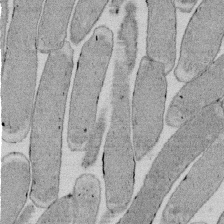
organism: E. coli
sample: Bacterial nucleoid